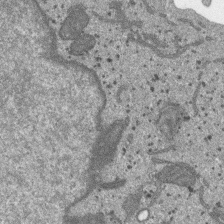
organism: Human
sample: Lung epithelial cells infected with SARS-CoV-2